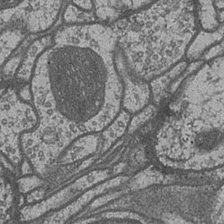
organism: Drosophila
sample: Optic medulla